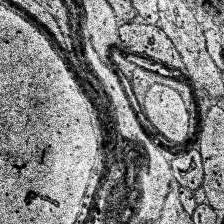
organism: Human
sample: Temporal Lobe